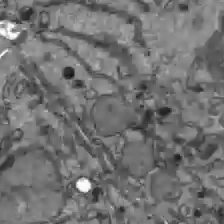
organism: C57BL Mouse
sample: Liver